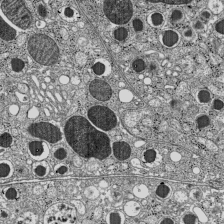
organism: C57BL Mouse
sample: Pancreatic islet